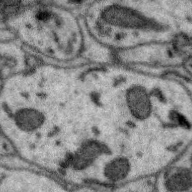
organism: Zebra finch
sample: Brain